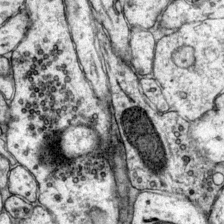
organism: Mouse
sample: Primary visual cortex